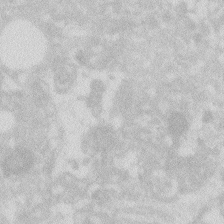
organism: Zebrafish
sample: Macrophage